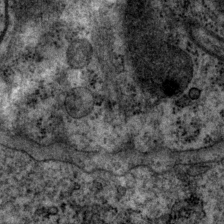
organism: P. pacificus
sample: Pharynx